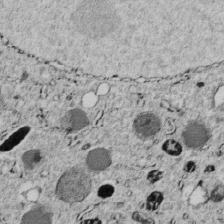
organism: C. elegans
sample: C. elegans embryo early stage